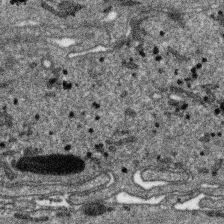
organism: Human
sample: Lung epithelial cells infected with SARS-CoV-2